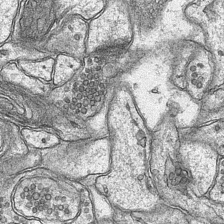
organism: Mouse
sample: CA1 Hippocampus